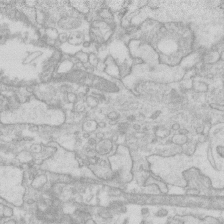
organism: Human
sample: Fibroblast cells